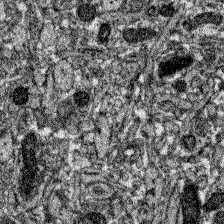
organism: Zebrafish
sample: Larval olfactory bulb